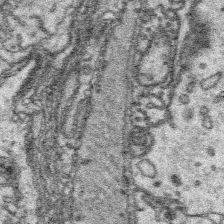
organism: Platynereis dumerilii